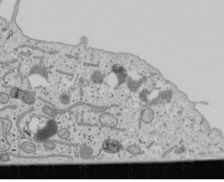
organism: Human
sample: Mitochondria in U2OS cells